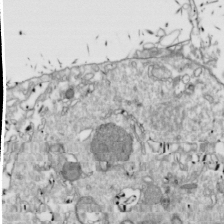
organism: Drosophila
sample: Cell division; meiosis; drosophila spermatocytes